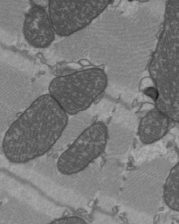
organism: C57BL Mouse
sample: Heart